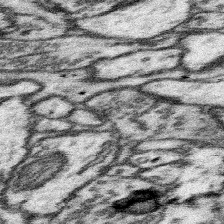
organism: Mouse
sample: Somatosensory cortex neuropil